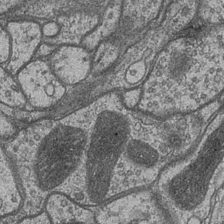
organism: Drosophila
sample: Optic medulla